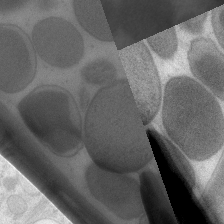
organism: C. elegans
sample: Pharynx